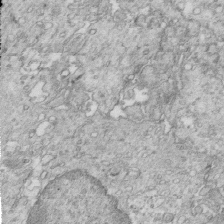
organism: Mouse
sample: Multiciliated cells